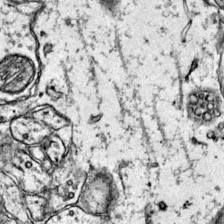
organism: Mouse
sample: Primary visual cortex